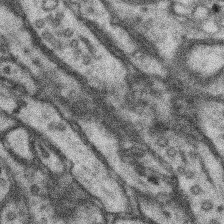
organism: Mouse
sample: Somatosensory cortex neuropil